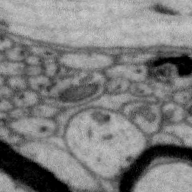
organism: Zebra finch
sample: Brain